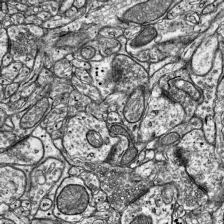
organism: Mouse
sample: Visual Cortex